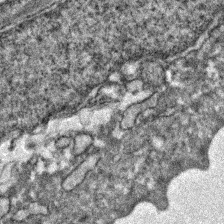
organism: Zebrafish